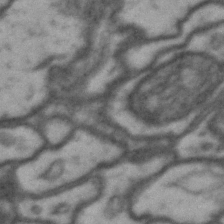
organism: Drosophila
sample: Brain